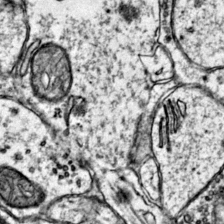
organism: Mouse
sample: Primary visual cortex